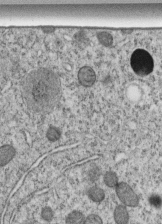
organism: C. elegans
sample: C. elegans embryo early stage